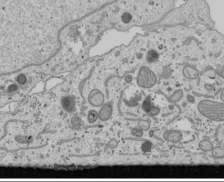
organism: Human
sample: Mitochondria in U2OS cells